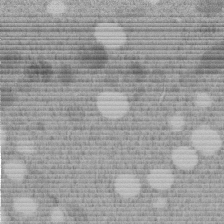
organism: C. elegans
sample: C. elegans embryo early stage